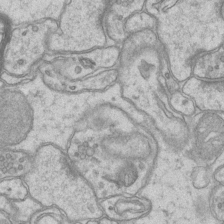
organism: Mouse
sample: CA1 Hippocampus